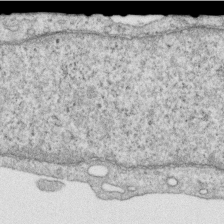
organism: Human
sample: Centriole in RPE cells